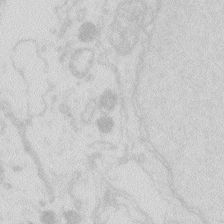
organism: Zebrafish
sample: Macrophage